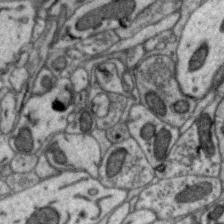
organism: Zebra finch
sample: Brain